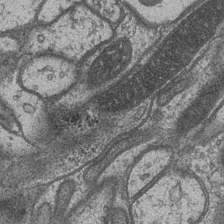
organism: Drosophila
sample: Optic medulla